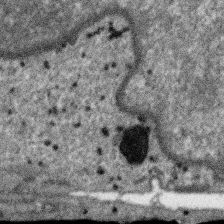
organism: Human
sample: Lung epithelial cells infected with SARS-CoV-2